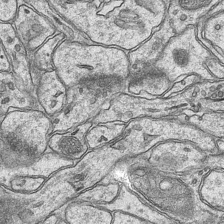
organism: Mouse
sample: CA1 Hippocampus